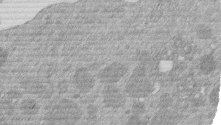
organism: Mouse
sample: Dividing mouse embryo 1 cell stage